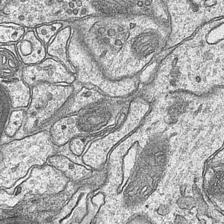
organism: Mouse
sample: CA1 Hippocampus